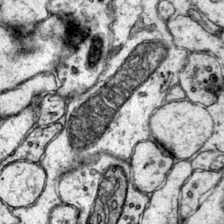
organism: Mouse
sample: Primary visual cortex